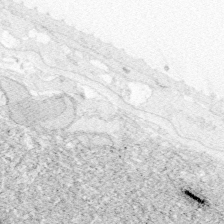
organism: Zebrafish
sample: Whole-Brain